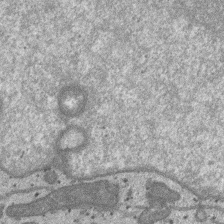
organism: Human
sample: Lung epithelial cells infected with SARS-CoV-2